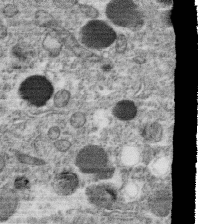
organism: C. elegans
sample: C. elegans oocyte; sperm cells